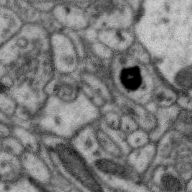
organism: Zebra finch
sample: Brain